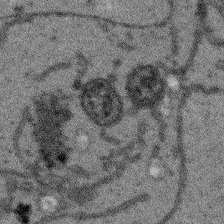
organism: Arabidopsis thaliana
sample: Root tip